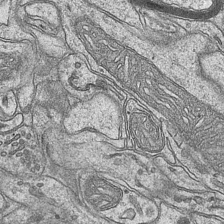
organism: Mouse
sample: CA1 Hippocampus